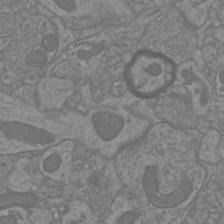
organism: Mouse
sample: Cortical neurons